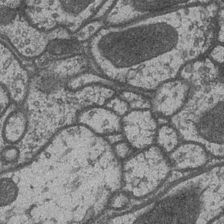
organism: Drosophila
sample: Optic medulla